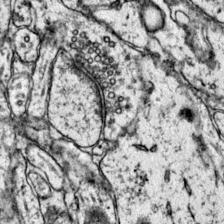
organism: Mouse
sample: Primary visual cortex